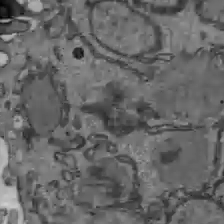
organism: C57BL Mouse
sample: Liver